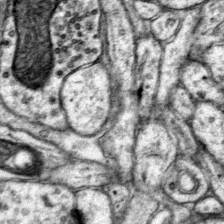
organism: Mouse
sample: Primary visual cortex